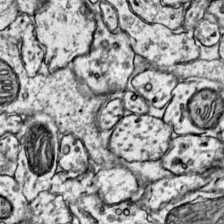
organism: Mouse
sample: Primary visual cortex